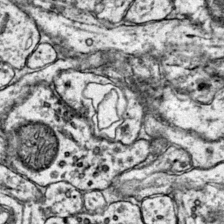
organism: Mouse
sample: Primary visual cortex